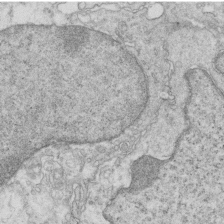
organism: Mouse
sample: Multiciliated cells